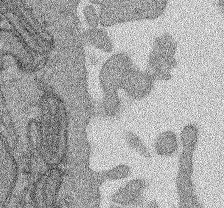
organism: Human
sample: HeLa cells